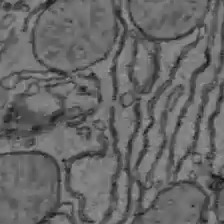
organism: C57BL Mouse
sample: Liver